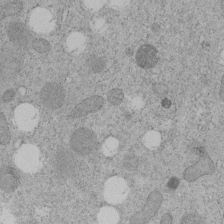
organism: C. elegans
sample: C. elegans embryo early stage